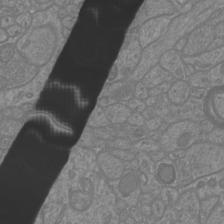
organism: Mouse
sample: Cortical neurons